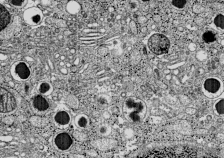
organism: C57BL Mouse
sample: Pancreatic islet